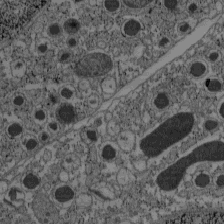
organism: C57BL Mouse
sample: Pancreatic islet